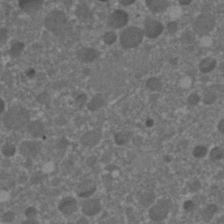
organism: C. elegans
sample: C. elegans embryo